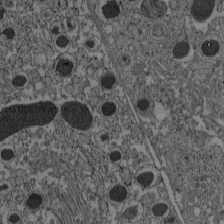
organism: C57BL Mouse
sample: Pancreatic islet